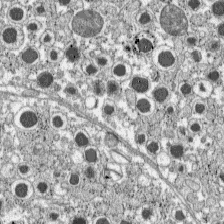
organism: C57BL Mouse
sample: Pancreatic islet